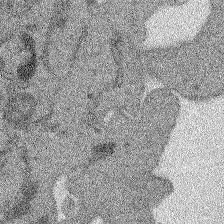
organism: Human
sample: HeLa cells